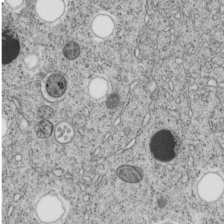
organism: C. elegans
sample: C. elegans embryo early stage